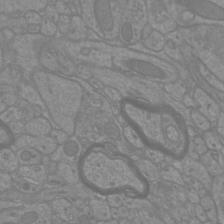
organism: Mouse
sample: Cortical neurons